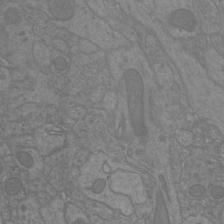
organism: Mouse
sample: Cortical neurons